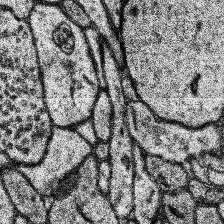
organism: Human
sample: Temporal Lobe